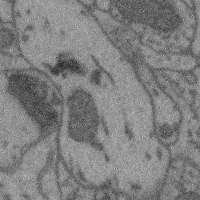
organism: Mouse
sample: Cerebral cortex